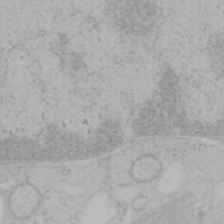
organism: Mouse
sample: OT-I killer T cells with ID8 ovarian cancer cells